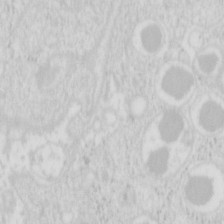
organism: Mouse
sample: Pancreas